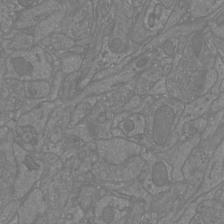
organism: Mouse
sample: Cortical neurons